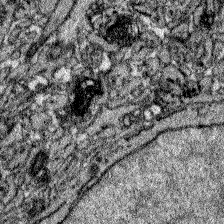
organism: Zebrafish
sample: Larval olfactory bulb